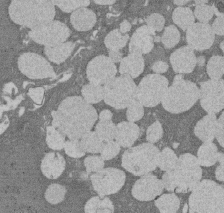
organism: Rat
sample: Salivary granule